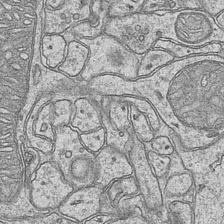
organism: Mouse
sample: CA1 Hippocampus